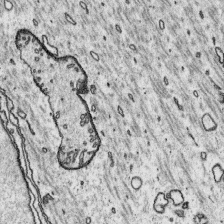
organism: Platynereis dumerilii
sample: Parapodia